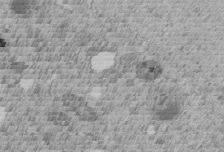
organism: C. elegans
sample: C. elegans embryo early stage